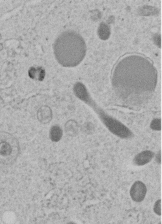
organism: C. elegans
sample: C. elegans embryo early stage